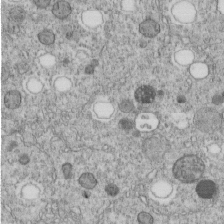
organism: C. elegans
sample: C. elegans embryo early stage